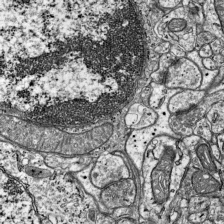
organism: Mouse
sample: Visual Cortex